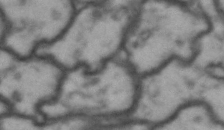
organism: Drosophila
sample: Brain